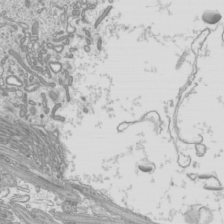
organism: Mouse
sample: Cilia; mouse epididymis